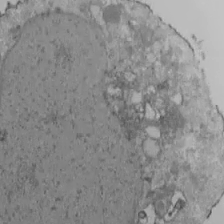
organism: Human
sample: Jurkat E6-1 and CD4 cells